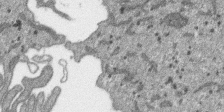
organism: Human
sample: Lung epithelial cells infected with SARS-CoV-2